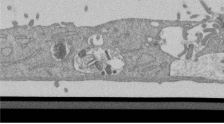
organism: Mouse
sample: ED-1 cell nuclei; centrioles